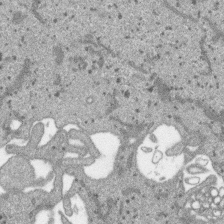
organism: Human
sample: Lung epithelial cells infected with SARS-CoV-2